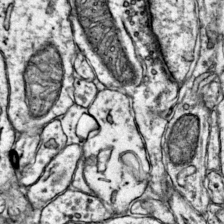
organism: Mouse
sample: Primary visual cortex